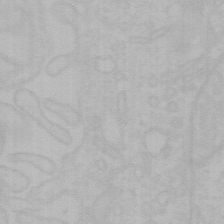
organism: Mouse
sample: Choroid plexus